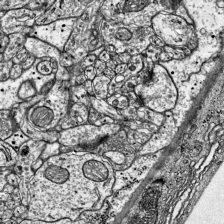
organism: Mouse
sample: Visual Cortex